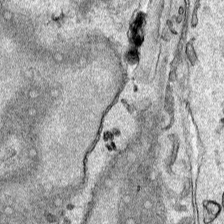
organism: Human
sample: Mitochondria in HCT116 cells